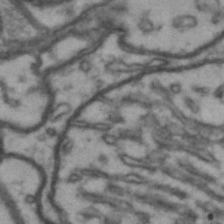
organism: Drosophila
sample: Brain